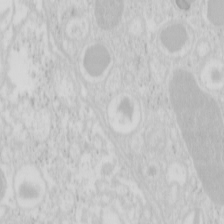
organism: Mouse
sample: Pancreas